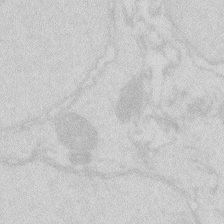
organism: Zebrafish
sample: Macrophage